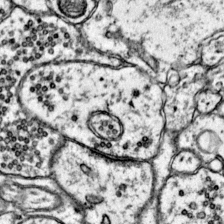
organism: Mouse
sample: Primary visual cortex